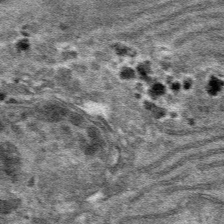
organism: Mouse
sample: Mouse hepatocytes